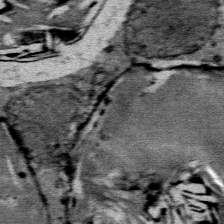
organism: Mouse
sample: Mouse Salivary gland